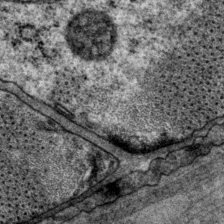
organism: P. pacificus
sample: Pharynx